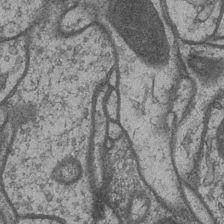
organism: Drosophila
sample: Optic medulla